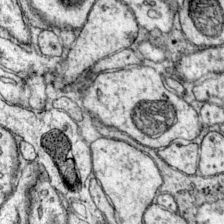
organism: Mouse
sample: Primary visual cortex